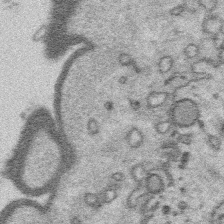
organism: Platynereis dumerilii